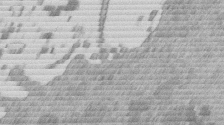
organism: Mouse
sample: Dividing mouse embryo 1 cell stage